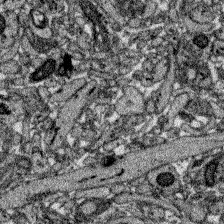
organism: Zebrafish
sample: Larval olfactory bulb